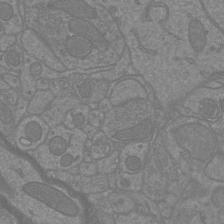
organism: Mouse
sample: Cortical neurons